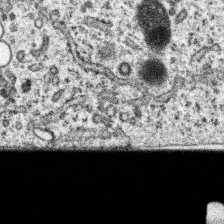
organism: Human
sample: HeLa cells